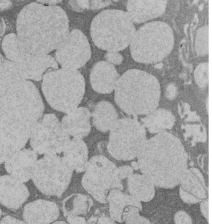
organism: Rat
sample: Salivary granule